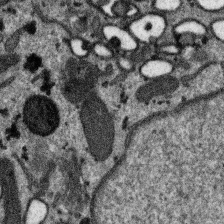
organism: Human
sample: Lung epithelial cells infected with SARS-CoV-2